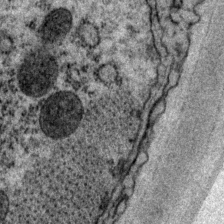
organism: P. pacificus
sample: Pharynx